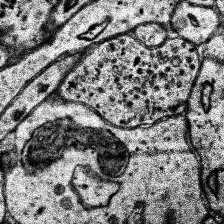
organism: Human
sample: Temporal Lobe